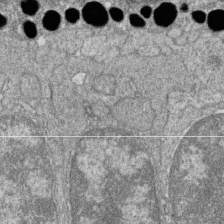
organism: Zebrafish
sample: Cilia; retinal pigment epithelium